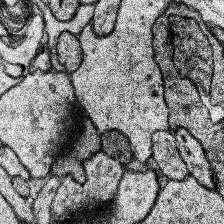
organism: Human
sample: Temporal Lobe